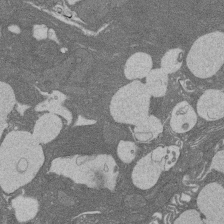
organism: Rat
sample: Salivary granule